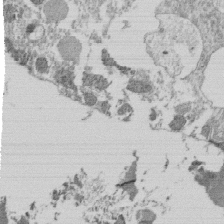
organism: Tetrahymena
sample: Cilia in tetrahymena